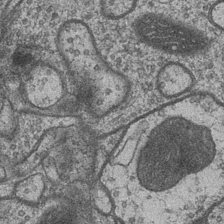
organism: Drosophila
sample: Optic medulla